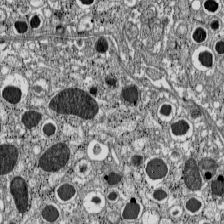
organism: C57BL Mouse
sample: Pancreatic islet